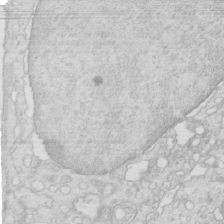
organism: Mouse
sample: Multiciliated cells